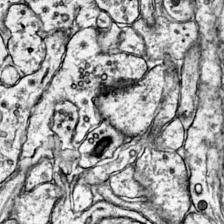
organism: Mouse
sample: Primary visual cortex